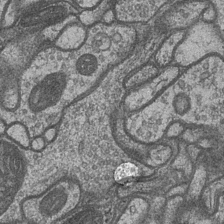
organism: Drosophila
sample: Optic medulla